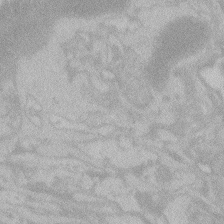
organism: Zebrafish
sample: Macrophage infected with Toxoplasma gondii